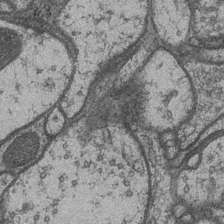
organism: Drosophila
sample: Optic medulla